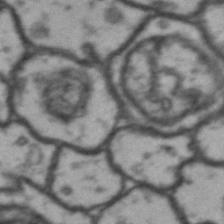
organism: Drosophila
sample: Brain